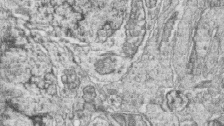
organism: Zebrafish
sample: synaptic ribbons in rod cells and cone cells